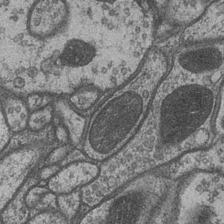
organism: Drosophila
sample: Optic medulla